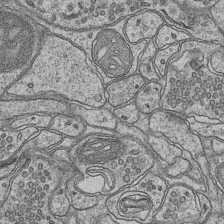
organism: Mouse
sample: CA1 Hippocampus